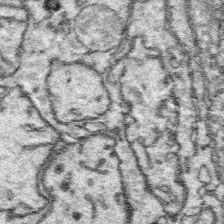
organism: Platynereis dumerilii